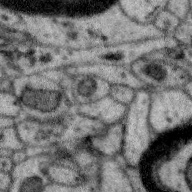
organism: Zebra finch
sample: Brain